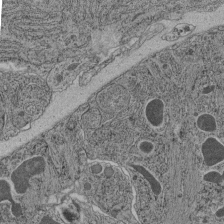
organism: C. elegans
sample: C. elegans pharynx